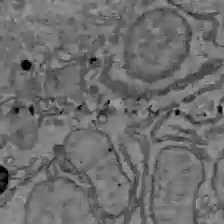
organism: C57BL Mouse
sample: Liver